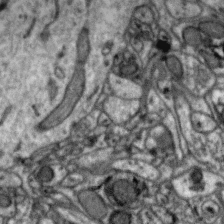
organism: Zebra finch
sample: Brain